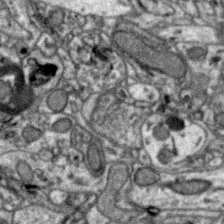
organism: Zebra finch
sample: Brain